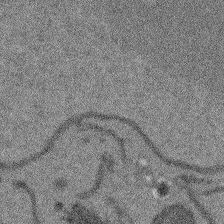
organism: Arabidopsis thaliana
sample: Root tip